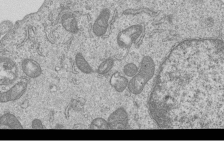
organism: Human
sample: MDA-MB-231 cells